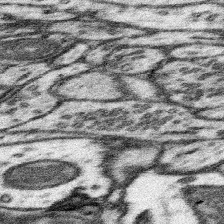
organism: Mouse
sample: Somatosensory cortex neuropil